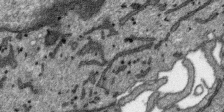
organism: Human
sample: Lung epithelial cells, uninfected (mock) control